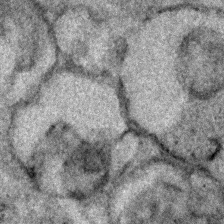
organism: Human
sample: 1205lu cells